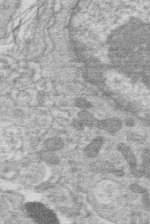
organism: Human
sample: Macrophage cells